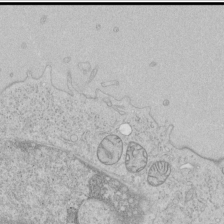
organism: Human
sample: Mitochondria in HCT116 cells